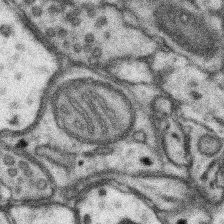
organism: Mouse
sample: Somatosensory cortex neuropil